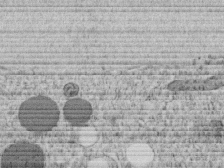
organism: C. elegans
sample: C. elegans embryo early stage